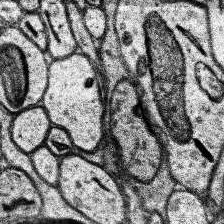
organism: Human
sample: Temporal Lobe